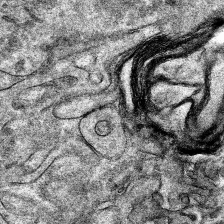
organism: Mouse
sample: Mouse hepatocytes